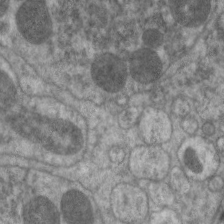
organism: C. elegans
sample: Pharynx